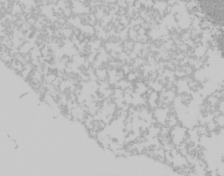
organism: Mouse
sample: Cancer cell death in ED-1 cells